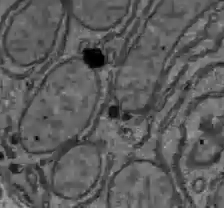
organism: C57BL Mouse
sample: Liver